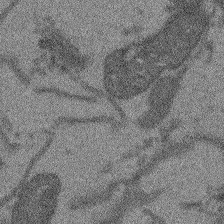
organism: Arabidopsis thaliana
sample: Root tip